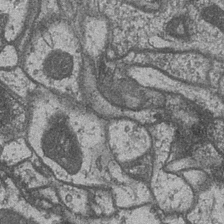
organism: Drosophila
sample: Optic medulla